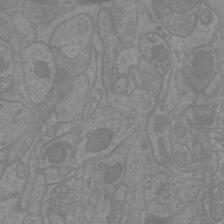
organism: Mouse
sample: Cortical neurons